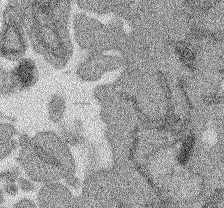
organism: Human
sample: HeLa cells